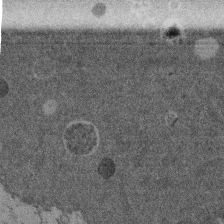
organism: Mouse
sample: Dividing mouse embryo 1 cell stage